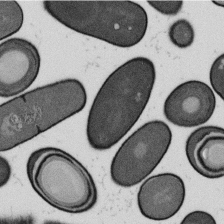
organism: B. subtilis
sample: Bacterial spore